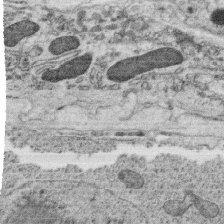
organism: C. elegans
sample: C. elegans oocyte; sperm cells